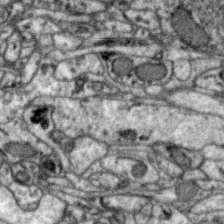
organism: Zebra finch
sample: Brain